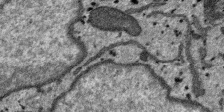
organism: Human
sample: Lung epithelial cells, uninfected (mock) control